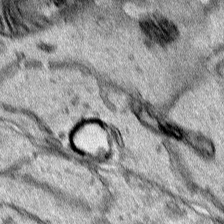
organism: Human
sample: Mitochondria in HCT116 cells